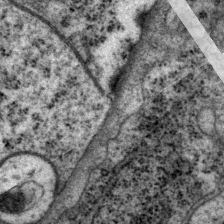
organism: P. pacificus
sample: Pharynx